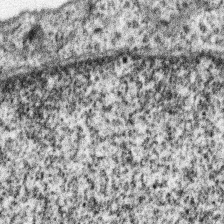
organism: Human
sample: HeLa cells